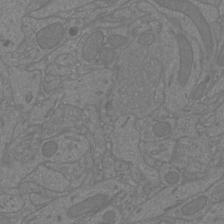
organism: Mouse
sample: Cortical neurons